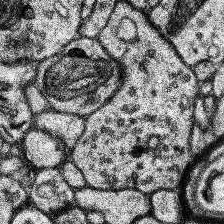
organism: Human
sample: Temporal Lobe